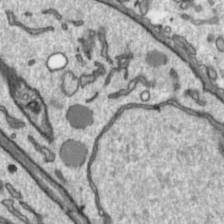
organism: Toxoplasma gondii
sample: Parasites in a vacuole inside a host cell